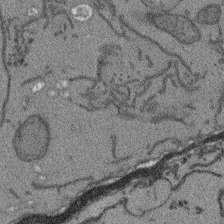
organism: Arabidopsis thaliana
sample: Root tip